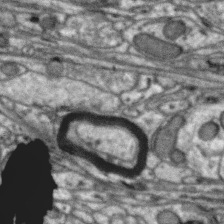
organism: Zebra finch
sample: Brain